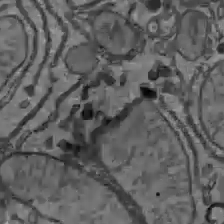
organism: C57BL Mouse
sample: Liver